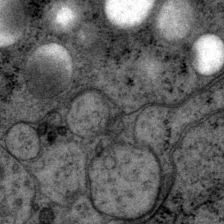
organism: P. pacificus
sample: Pharynx